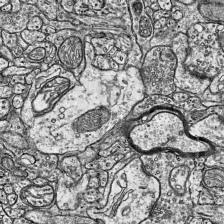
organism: Mouse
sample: Visual Cortex